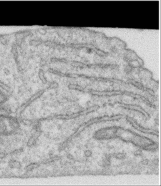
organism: Human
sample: Centriole in RPE cells